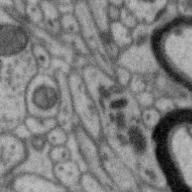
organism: Zebra finch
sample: Brain